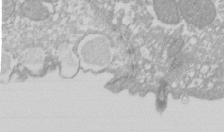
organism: Xenopus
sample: Cilia; centrioles in frog embryo cells